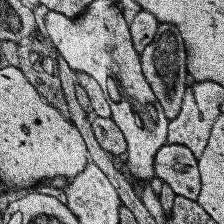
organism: Human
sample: Temporal Lobe